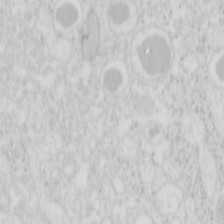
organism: Mouse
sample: Pancreas